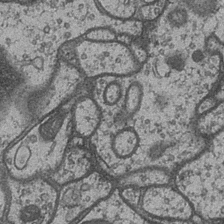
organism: Drosophila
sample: Optic medulla